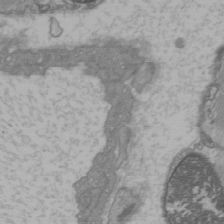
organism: C57BL Mouse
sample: Heart